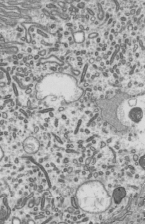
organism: Mouse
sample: Mouse epididymis efferent ductule cilia